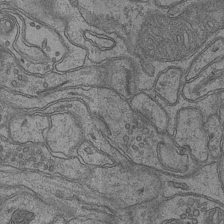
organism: Mouse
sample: CA1 Hippocampus